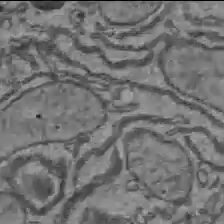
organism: C57BL Mouse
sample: Liver